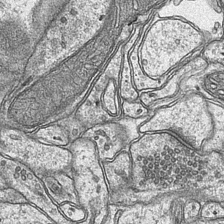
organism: Mouse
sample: CA1 Hippocampus